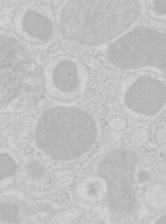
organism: Mouse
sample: Pancreas